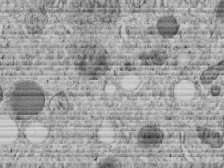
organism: C. elegans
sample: C. elegans embryo early stage